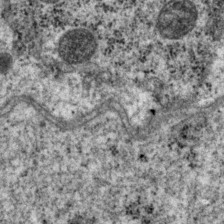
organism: P. pacificus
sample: Pharynx